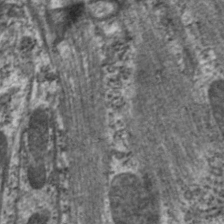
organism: C. elegans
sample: Pharynx